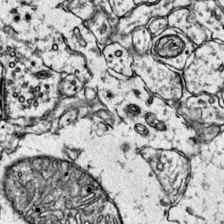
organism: Mouse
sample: Primary visual cortex